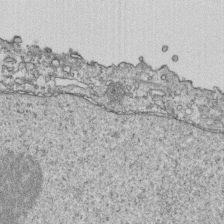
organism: Human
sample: HeLa cell HIV synapse